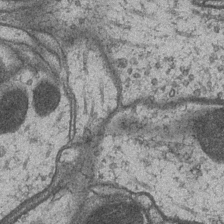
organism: Drosophila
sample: Optic medulla